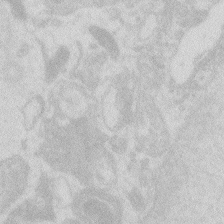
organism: Zebrafish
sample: Macrophage